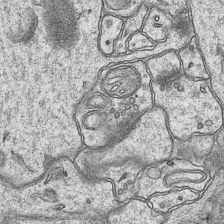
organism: Mouse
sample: CA1 Hippocampus